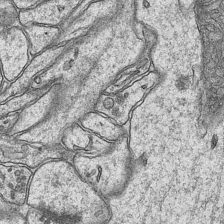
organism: Mouse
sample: CA1 Hippocampus